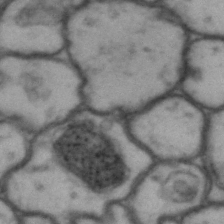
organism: Drosophila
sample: Brain